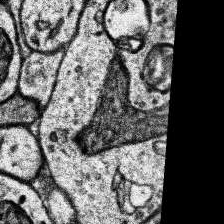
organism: Human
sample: Temporal Lobe